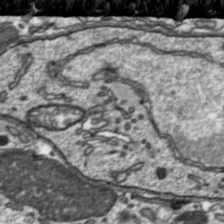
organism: Toxoplasma gondii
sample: Parasites in a vacuole inside a host cell